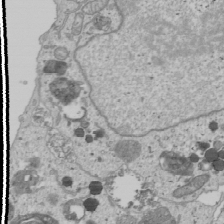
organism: Human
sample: Mitochondria in U2OS cells